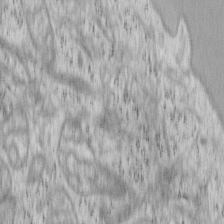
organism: Human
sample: HeLa cells